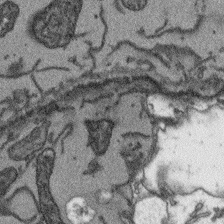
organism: Arabidopsis thaliana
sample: Root tip